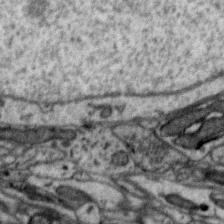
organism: Zebra finch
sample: Brain